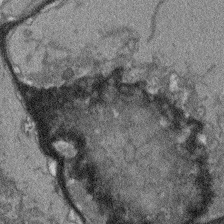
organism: Arabidopsis thaliana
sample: Root tip